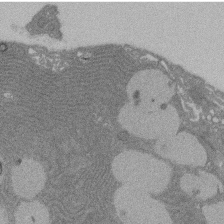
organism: Rat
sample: Salivary granule